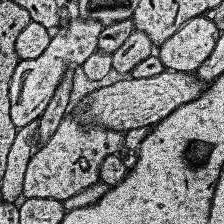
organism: Human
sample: Temporal Lobe